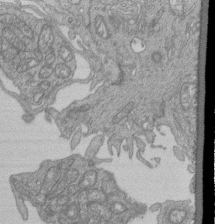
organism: Human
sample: Retinal organoid Rod and Cone cells